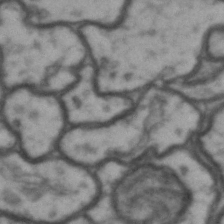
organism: Drosophila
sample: Brain